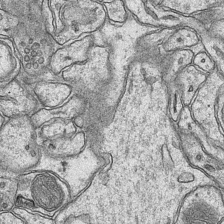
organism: Mouse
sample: CA1 Hippocampus